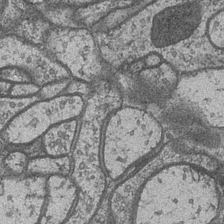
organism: Drosophila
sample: Optic medulla